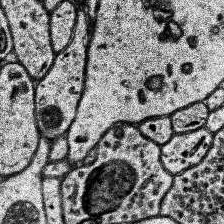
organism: Human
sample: Temporal Lobe